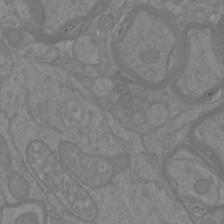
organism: Mouse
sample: Cortical neurons